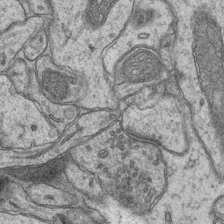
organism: Mouse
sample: CA1 Hippocampus